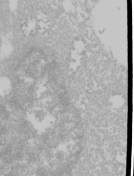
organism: Mouse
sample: Cancer cell death in ED-1 cells